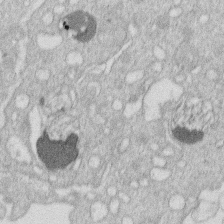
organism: Human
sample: Macrophage cells